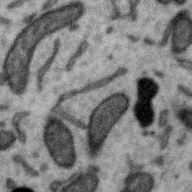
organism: Zebra finch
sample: Brain